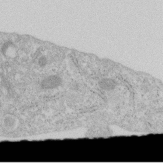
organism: Human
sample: Centriole in RPE cells